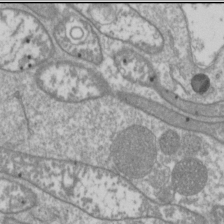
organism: Drosophila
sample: Cell division; meiosis; drosophila spermatocytes